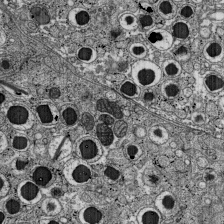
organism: C57BL Mouse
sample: Pancreatic islet